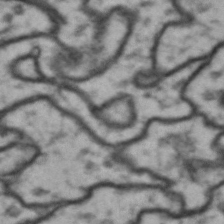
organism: Drosophila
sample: Brain